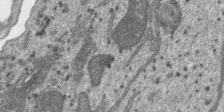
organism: Human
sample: Lung epithelial cells infected with SARS-CoV-2